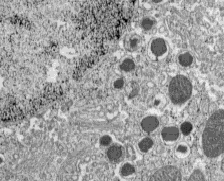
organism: C57BL Mouse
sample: Pancreatic islet